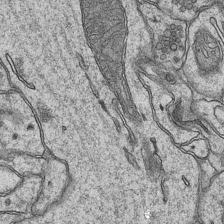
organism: Mouse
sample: CA1 Hippocampus